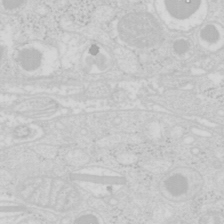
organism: Mouse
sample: Pancreas